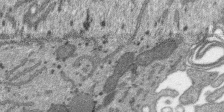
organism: Human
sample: Lung epithelial cells infected with SARS-CoV-2